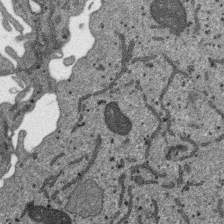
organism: Human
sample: Lung epithelial cells infected with SARS-CoV-2